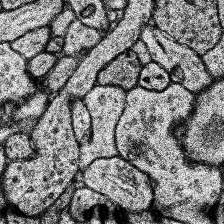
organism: Human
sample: Temporal Lobe